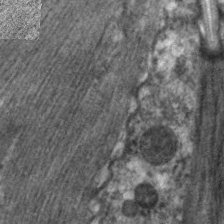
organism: C. elegans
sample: Pharynx